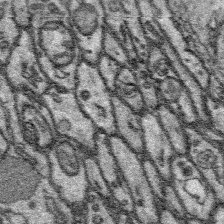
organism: Platynereis dumerilii